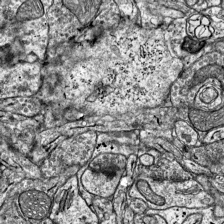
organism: Mouse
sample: Visual Cortex